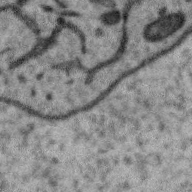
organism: Zebra finch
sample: Brain